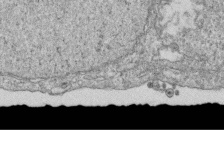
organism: Human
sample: HeLa cell HIV synapse